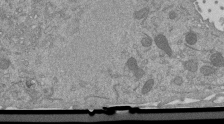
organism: Mouse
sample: ED-1 cell nuclei; centrioles